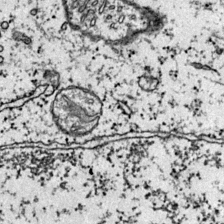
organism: Mouse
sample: Primary visual cortex